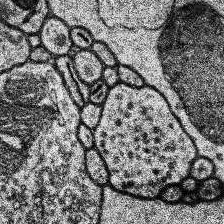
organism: Human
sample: Temporal Lobe